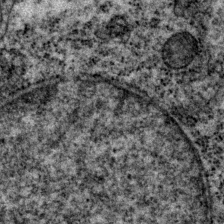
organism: P. pacificus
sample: Pharynx